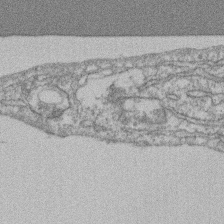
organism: Mouse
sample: T cell stromal cell synapse